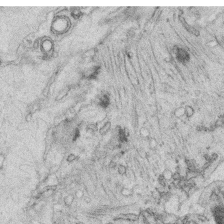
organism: C. elegans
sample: C. elegans oocyte; sperm cells